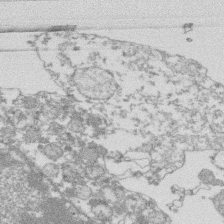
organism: Human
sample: HeLa cell HIV synapse